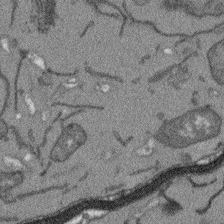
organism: Arabidopsis thaliana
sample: Root tip